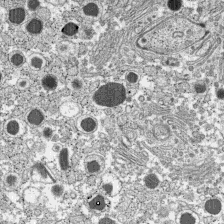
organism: C57BL Mouse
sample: Pancreatic islet